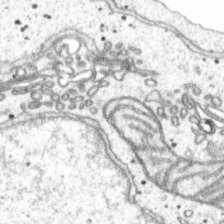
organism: Human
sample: HeLa cells